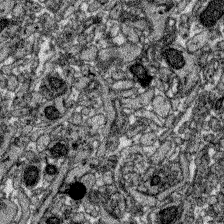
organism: Zebrafish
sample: Larval olfactory bulb